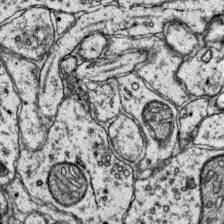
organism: Mouse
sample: Primary visual cortex